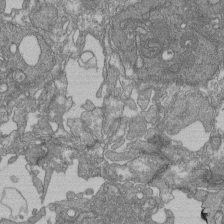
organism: Human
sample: Retinal organoid Rod and Cone cells